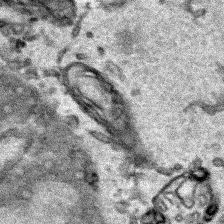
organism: Human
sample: Mitochondria in HCT116 cells